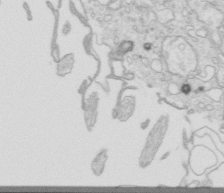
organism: Mouse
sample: Multiciliated cells